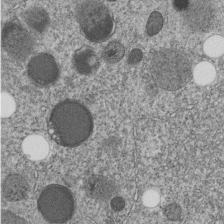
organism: C. elegans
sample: C. elegans embryo early stage